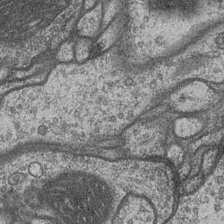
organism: Drosophila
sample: Optic medulla